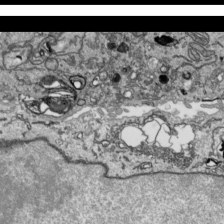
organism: Human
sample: Mitochondria in HCT116 cells